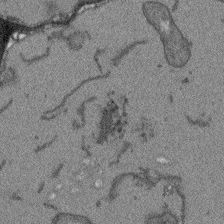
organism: Arabidopsis thaliana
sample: Root tip